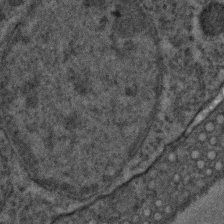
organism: C. elegans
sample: C. elegans embryo